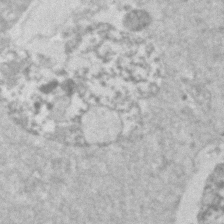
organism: Human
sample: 1205lu cells